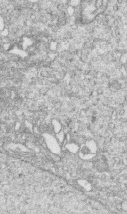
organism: Human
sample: HeLa cell HIV synapse